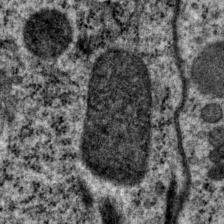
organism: P. pacificus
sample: Pharynx